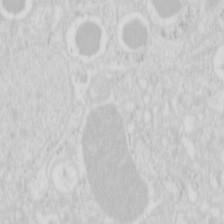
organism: Mouse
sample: Pancreas